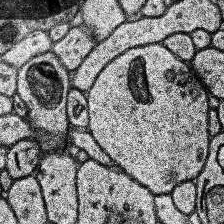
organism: Human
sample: Temporal Lobe